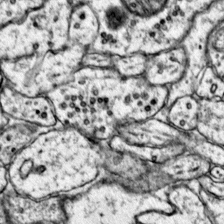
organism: Mouse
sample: Primary visual cortex